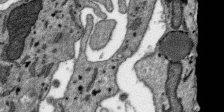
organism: Human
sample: Lung epithelial cells, uninfected (mock) control